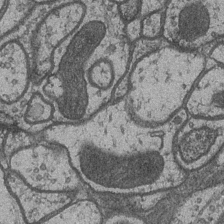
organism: Drosophila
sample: Optic medulla